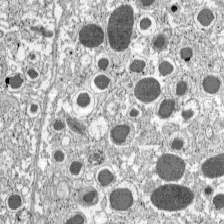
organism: C57BL Mouse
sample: Pancreatic islet